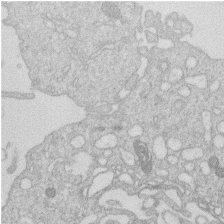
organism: Human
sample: Macrophage cells